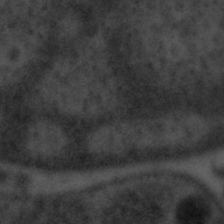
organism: Tuwongella immobilis